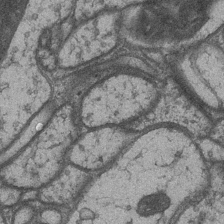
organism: Drosophila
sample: Optic medulla